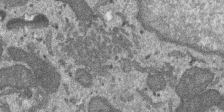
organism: Human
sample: Lung epithelial cells infected with SARS-CoV-2